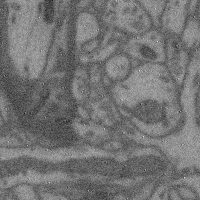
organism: Mouse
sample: Cerebral cortex